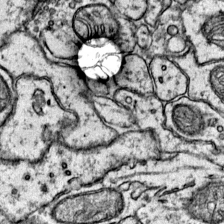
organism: Mouse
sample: Primary visual cortex